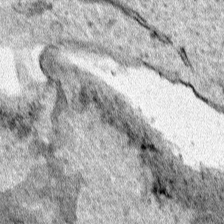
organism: Human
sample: Mitochondria in HCT116 cells